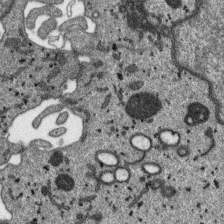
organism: Human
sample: Lung epithelial cells infected with SARS-CoV-2